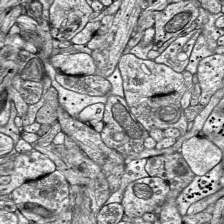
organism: Mouse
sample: Visual Cortex